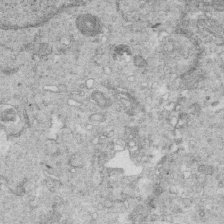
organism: Mouse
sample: Multiciliated cells